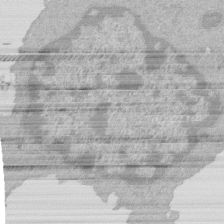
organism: Mouse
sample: Activated Pmel transgenic CD8+ T Cells